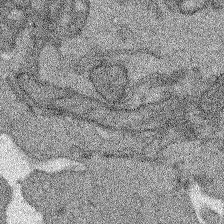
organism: Human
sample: HeLa cells